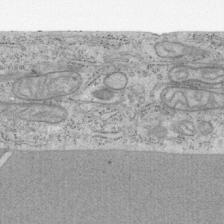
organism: Human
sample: HeLa cells